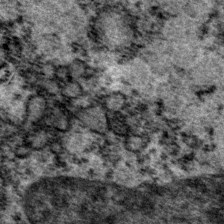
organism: P. pacificus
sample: Pharynx